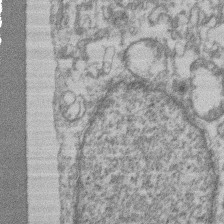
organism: Mouse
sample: T cell stromal cell synapse